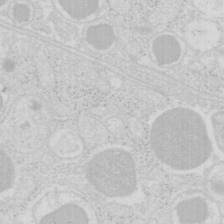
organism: Mouse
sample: Pancreas